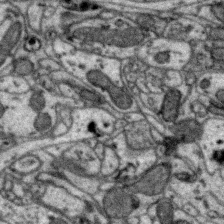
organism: Zebra finch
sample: Brain